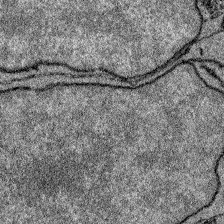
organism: Zebrafish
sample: Larval olfactory bulb